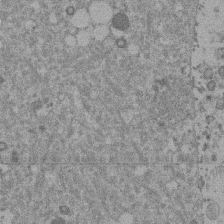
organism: Mouse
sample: Dividing mouse embryo 1 cell stage